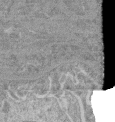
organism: Mouse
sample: Glomerulus